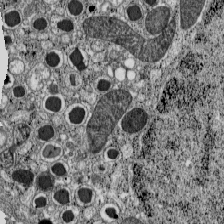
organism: C57BL Mouse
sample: Pancreatic islet